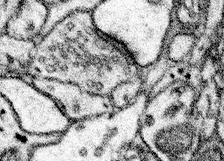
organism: Mouse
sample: Somatosensory cortex neuropil